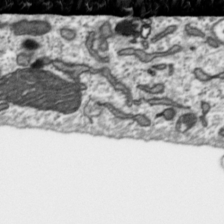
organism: Toxoplasma gondii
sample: Parasites in a vacuole inside a host cell